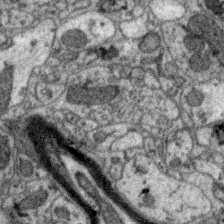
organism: Zebra finch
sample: Brain